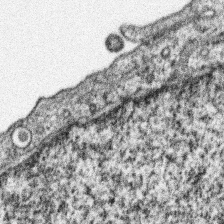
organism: Human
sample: HeLa cells